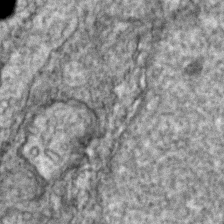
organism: Zebrafish